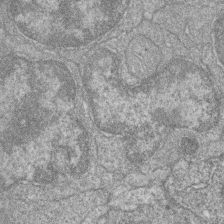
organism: Zebrafish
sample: Cilia; retinal pigment epithelium